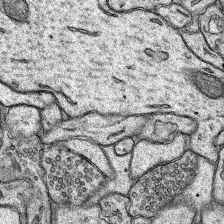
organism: Rat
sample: Hippocampus